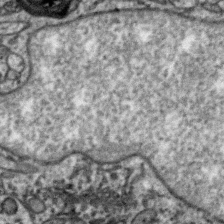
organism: Zebra finch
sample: Brain